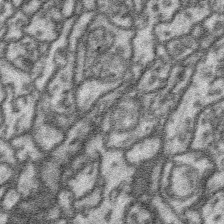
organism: Platynereis dumerilii